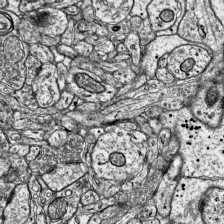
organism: Mouse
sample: Visual Cortex